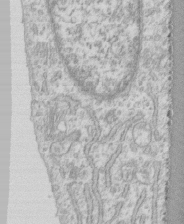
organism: Human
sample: CRL-1474